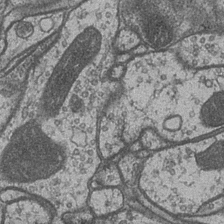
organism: Drosophila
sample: Optic medulla